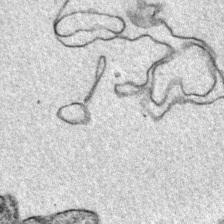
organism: Mouse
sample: Primary visual cortex